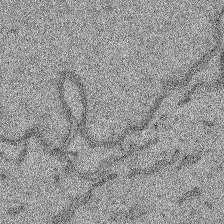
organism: Human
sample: HeLa cells